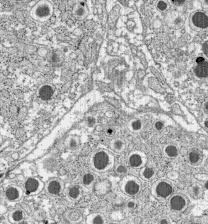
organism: C57BL Mouse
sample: Pancreatic islet